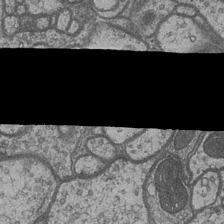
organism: Drosophila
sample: Optic medulla